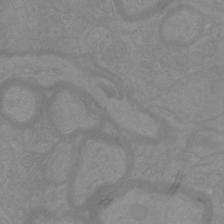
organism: Mouse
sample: Cortical neurons